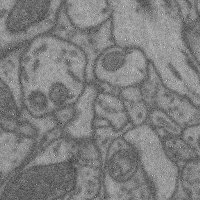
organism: Mouse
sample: Cerebral cortex